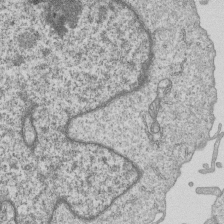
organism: Human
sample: MDA-MB-231 cells